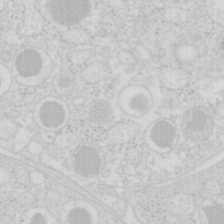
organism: Mouse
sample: Pancreas